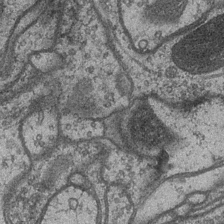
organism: Drosophila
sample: Optic medulla